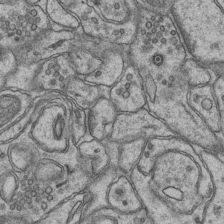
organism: Mouse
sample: CA1 Hippocampus